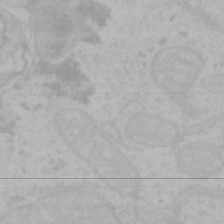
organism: Mouse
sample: Choroid plexus